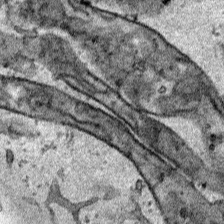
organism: Human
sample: Mitochondria in HCT116 cells